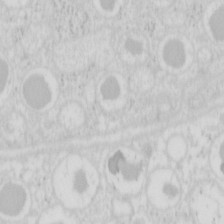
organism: Mouse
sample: Pancreas